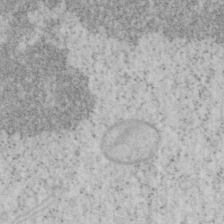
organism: Human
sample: HeLa cells